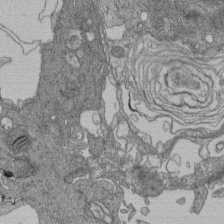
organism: Human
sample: Retinal organoid Rod and Cone cells